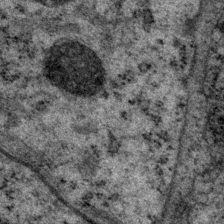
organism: P. pacificus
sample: Pharynx